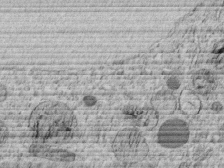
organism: C. elegans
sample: C. elegans embryo early stage